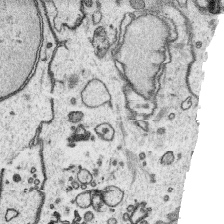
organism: Platynereis dumerilii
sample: Parapodia